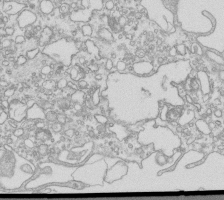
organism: Mouse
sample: Macrophages